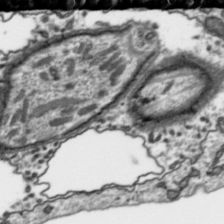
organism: Toxoplasma gondii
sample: Parasites in a vacuole inside a host cell